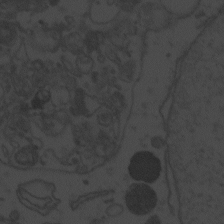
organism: Zebrafish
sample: Macrophage infected with Toxoplasma gondii